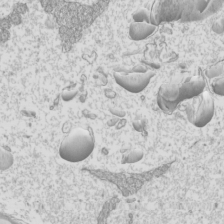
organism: Mouse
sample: Cilia; mouse epididymis